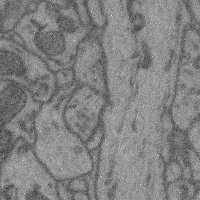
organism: Mouse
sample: Cerebral cortex